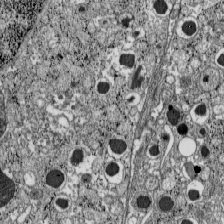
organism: C57BL Mouse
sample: Pancreatic islet